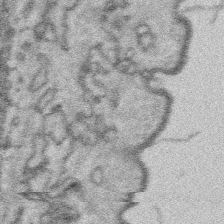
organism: Platynereis dumerilii